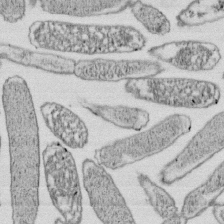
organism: E. coli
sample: Bacterial nucleoid